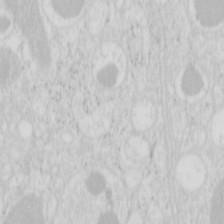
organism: Mouse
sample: Pancreas